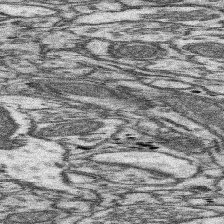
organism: Mouse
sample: Somatosensory cortex neuropil